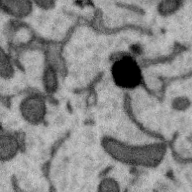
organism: Zebra finch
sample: Brain